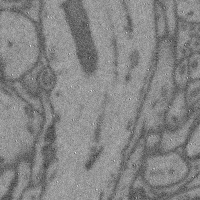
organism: Mouse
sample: Cerebral cortex